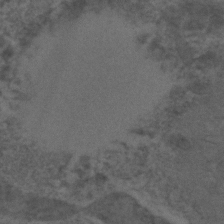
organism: C. elegans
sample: C. elegans embryo